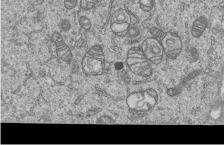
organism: Human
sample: MDA-MB-231 cells